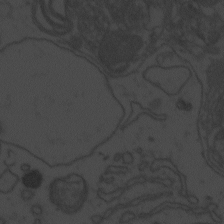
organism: Zebrafish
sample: Macrophage infected with Toxoplasma gondii